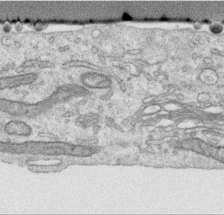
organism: Human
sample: Centriole in RPE cells